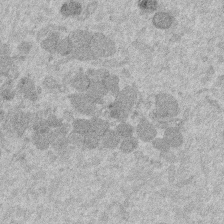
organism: Mouse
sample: Dividing mouse embryo 1 cell stage